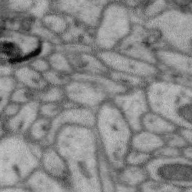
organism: Zebra finch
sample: Brain